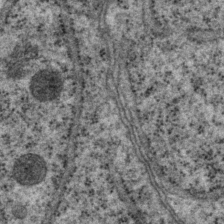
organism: P. pacificus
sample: Pharynx